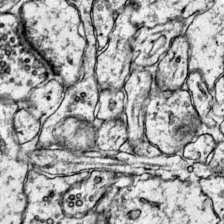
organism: Mouse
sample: Primary visual cortex